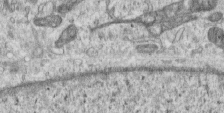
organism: Human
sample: Centriole in RPE cells